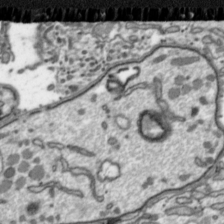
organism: Toxoplasma gondii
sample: Parasites in a vacuole inside a host cell